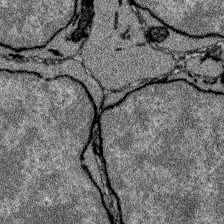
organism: Zebrafish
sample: Larval olfactory bulb